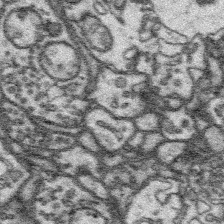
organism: Platynereis dumerilii